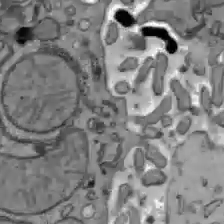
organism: C57BL Mouse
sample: Liver